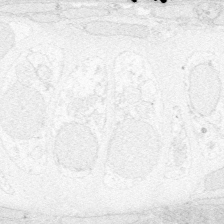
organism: Zebrafish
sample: Whole-Brain